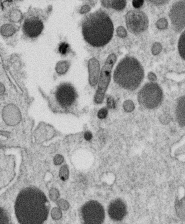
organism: C. elegans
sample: C. elegans oocyte; sperm cells